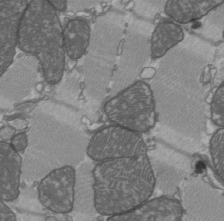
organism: C57BL Mouse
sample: Heart